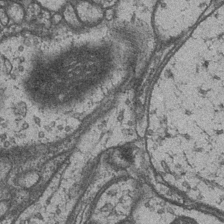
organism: Drosophila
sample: Optic medulla